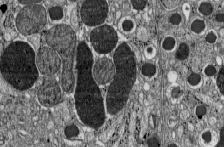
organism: C57BL Mouse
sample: Pancreatic islet